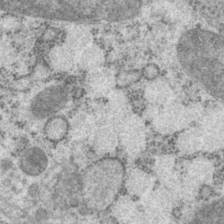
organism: P. pacificus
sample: Pharynx